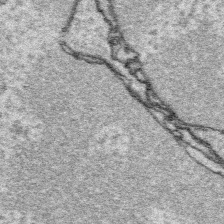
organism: Platynereis dumerilii